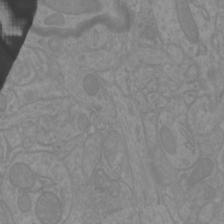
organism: Mouse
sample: Cortical neurons